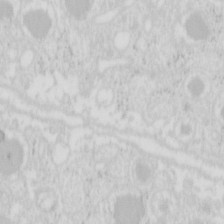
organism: Mouse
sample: Pancreas